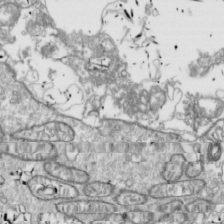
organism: Drosophila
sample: Cell division; meiosis; drosophila spermatocytes